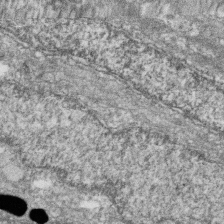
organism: Zebrafish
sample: Cilia; retinal pigment epithelium